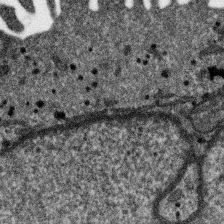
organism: Human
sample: Lung epithelial cells infected with SARS-CoV-2